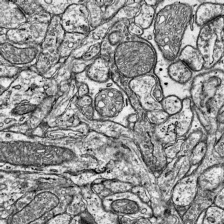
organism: Mouse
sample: Visual Cortex